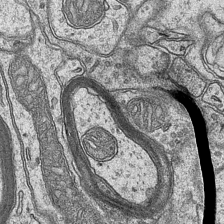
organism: Mouse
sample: CA1 Hippocampus